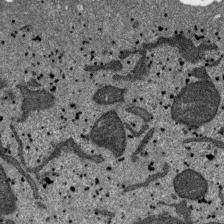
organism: Human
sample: Lung epithelial cells, uninfected (mock) control